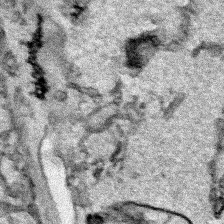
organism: Human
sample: Mitochondria in HCT116 cells